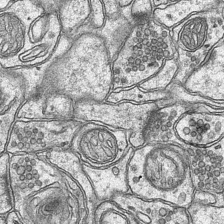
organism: Mouse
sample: CA1 Hippocampus